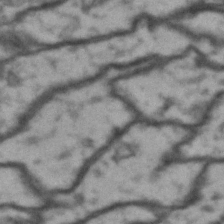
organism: Drosophila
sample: Brain